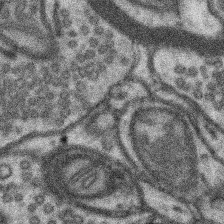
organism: Mouse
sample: Somatosensory cortex neuropil